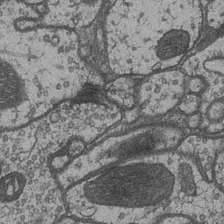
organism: Drosophila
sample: Optic medulla